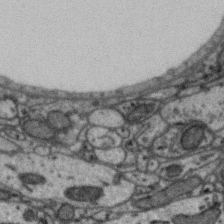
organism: Zebra finch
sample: Brain